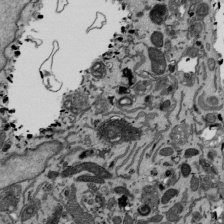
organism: Mouse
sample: ED-1 cell nuclei; centrioles